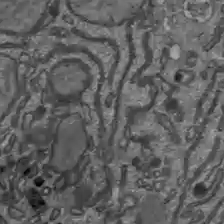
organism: C57BL Mouse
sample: Liver